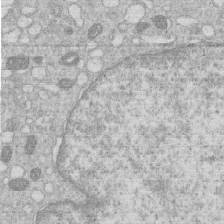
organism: Human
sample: Macrophage cells